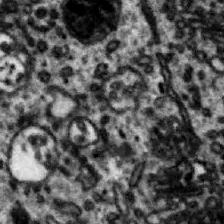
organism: Human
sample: HeLa cells